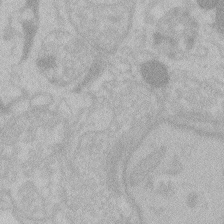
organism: Zebrafish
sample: Macrophage infected with Toxoplasma gondii